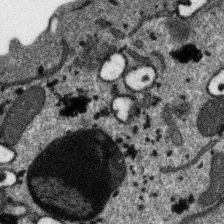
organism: Human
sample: Lung epithelial cells infected with SARS-CoV-2